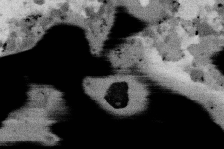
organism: Mouse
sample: T cell stromal cell synapse